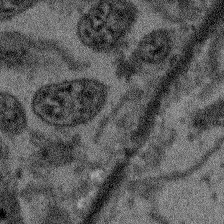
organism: Arabidopsis thaliana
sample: Root tip